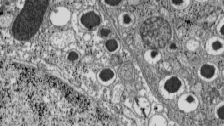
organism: C57BL Mouse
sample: Pancreatic islet